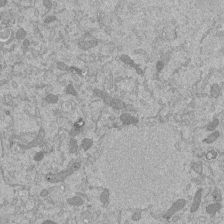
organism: Mouse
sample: ED-1 cell nuclei; centrioles